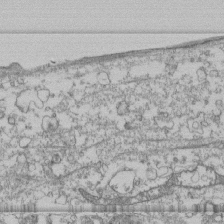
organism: Human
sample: Fibroblast cells